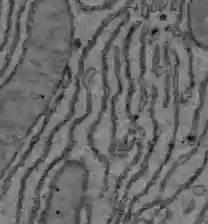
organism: C57BL Mouse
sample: Liver